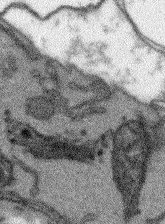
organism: Arabidopsis thaliana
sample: Root tip